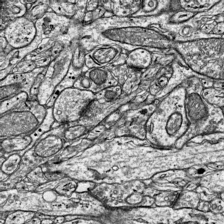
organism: Mouse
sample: Visual Cortex